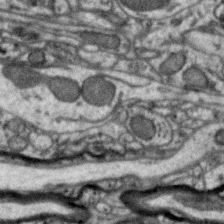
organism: Zebra finch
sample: Brain